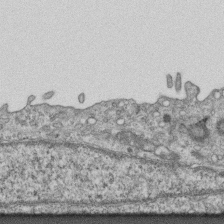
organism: Mouse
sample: Centriole in ependymal cells